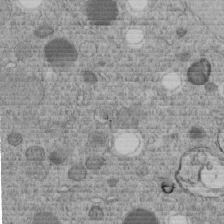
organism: C. elegans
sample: C. elegans embryo early stage